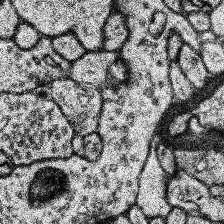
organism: Human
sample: Temporal Lobe